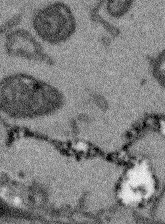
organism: Arabidopsis thaliana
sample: Root tip